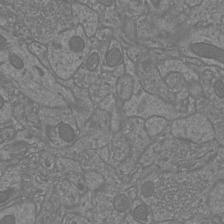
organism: Mouse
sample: Cortical neurons